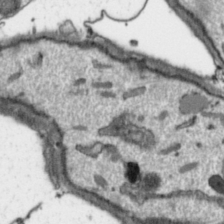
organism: Toxoplasma gondii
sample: Parasites in a vacuole inside a host cell